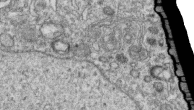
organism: Human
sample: HeLa cell HIV synapse